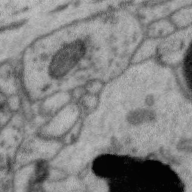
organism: Zebra finch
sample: Brain